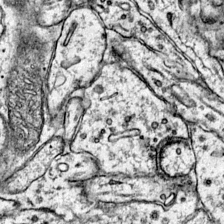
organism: Mouse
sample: Primary visual cortex